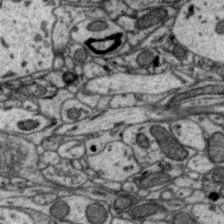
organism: Zebra finch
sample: Brain